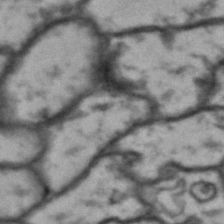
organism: Drosophila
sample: Brain